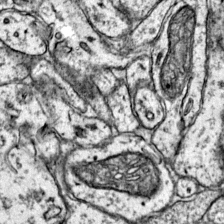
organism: Mouse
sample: Primary visual cortex